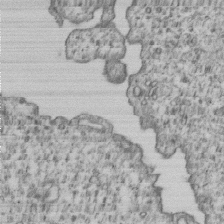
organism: Human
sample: MDA-MB-231 cells